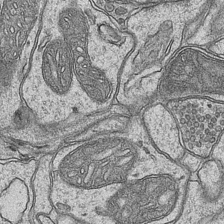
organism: Mouse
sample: CA1 Hippocampus